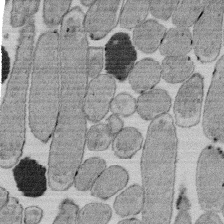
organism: E. coli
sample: Bacterial nucleoid